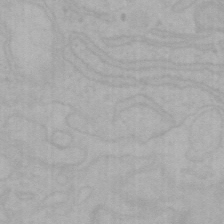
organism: Mouse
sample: Choroid plexus